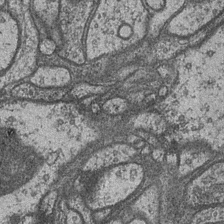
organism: Drosophila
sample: Optic medulla